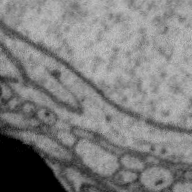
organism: Zebra finch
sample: Brain